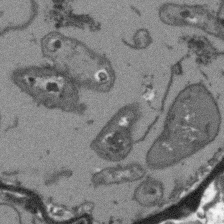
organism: Arabidopsis thaliana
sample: Root tip